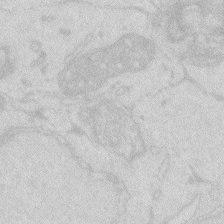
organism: Zebrafish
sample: Macrophage